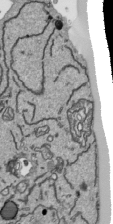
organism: Human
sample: Mitochondria in HCT116 cells